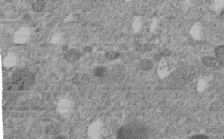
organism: C. elegans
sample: C. elegans embryo early stage